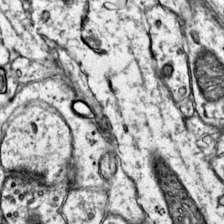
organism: Mouse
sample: Primary visual cortex